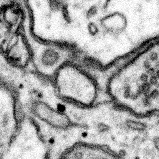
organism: Mouse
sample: Somatosensory cortex neuropil